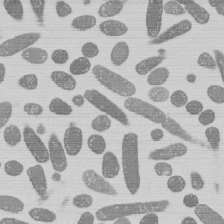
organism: E. coli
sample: Bacterial nucleoid